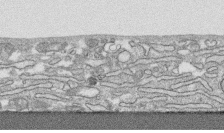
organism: Human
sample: CRL-1474